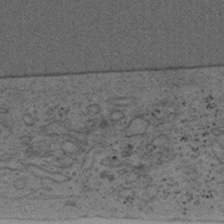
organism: Human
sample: HeLa cells